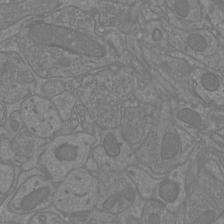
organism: Mouse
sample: Cortical neurons